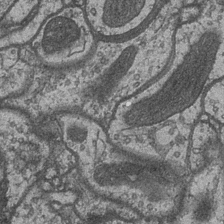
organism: Drosophila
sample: Optic medulla